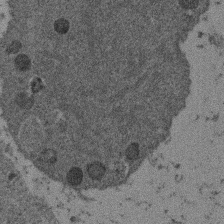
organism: Mouse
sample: Dividing mouse embryo 1 cell stage